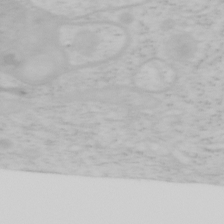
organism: Mouse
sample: OT-I killer T cells with ID8 ovarian cancer cells